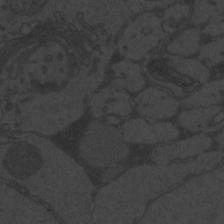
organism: Zebrafish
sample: Macrophage infected with Toxoplasma gondii